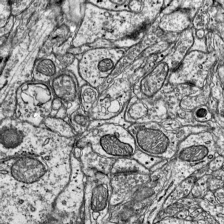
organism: Mouse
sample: Visual Cortex